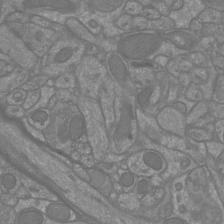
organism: Mouse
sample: Cortical neurons